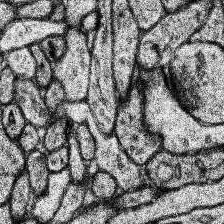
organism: Human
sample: Temporal Lobe